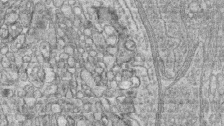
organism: Zebrafish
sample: synaptic ribbons in rod cells and cone cells